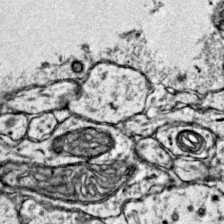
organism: Mouse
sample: Primary visual cortex